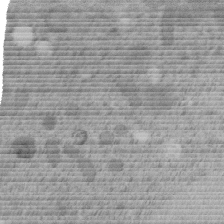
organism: C. elegans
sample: C. elegans embryo early stage